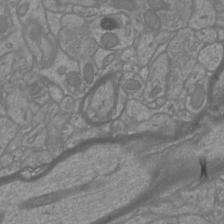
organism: Mouse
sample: Cortical neurons